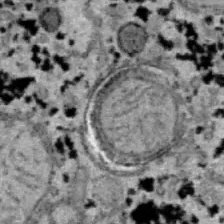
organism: Mouse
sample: Liver from an obese (ob/ob) mouse